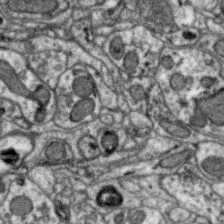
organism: Zebra finch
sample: Brain